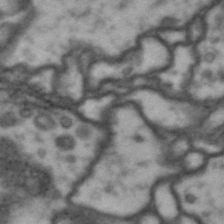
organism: Drosophila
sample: Brain